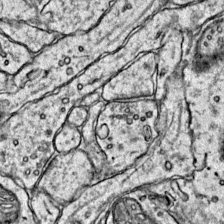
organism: Mouse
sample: Primary visual cortex